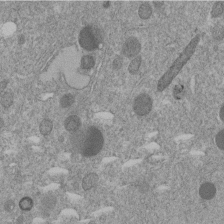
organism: C. elegans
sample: C. elegans embryo early stage